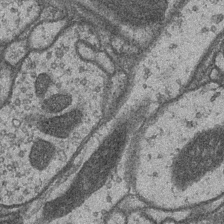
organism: Drosophila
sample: Optic medulla